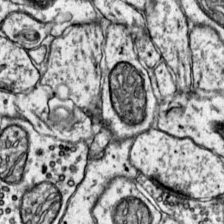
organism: Mouse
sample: Primary visual cortex